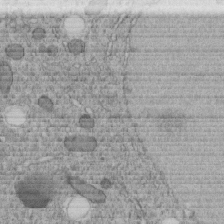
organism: C. elegans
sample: C. elegans embryo early stage